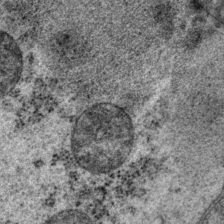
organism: P. pacificus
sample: Pharynx